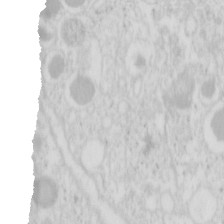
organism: Mouse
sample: Pancreas